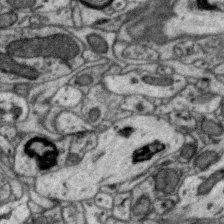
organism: Zebra finch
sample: Brain